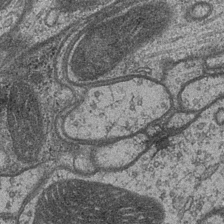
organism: Drosophila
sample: Optic medulla